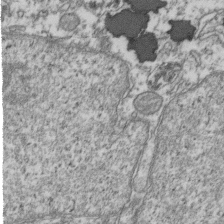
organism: Human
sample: Activated Jurkat CD4+ T cells